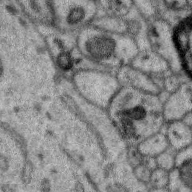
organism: Zebra finch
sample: Brain